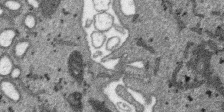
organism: Human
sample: Lung epithelial cells infected with SARS-CoV-2